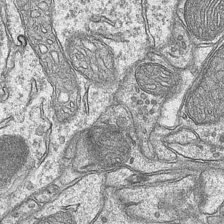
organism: Mouse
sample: CA1 Hippocampus